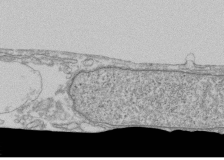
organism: Human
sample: Fibroblast cells